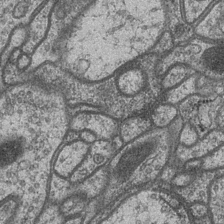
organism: Drosophila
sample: Optic medulla